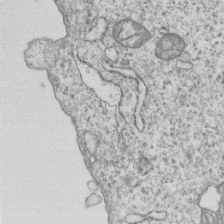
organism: Human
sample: MDA-MB-231 cells